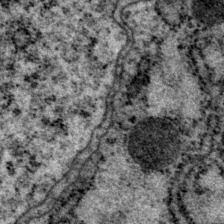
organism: P. pacificus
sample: Pharynx